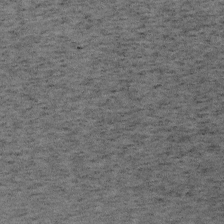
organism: Mouse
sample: OT-I killer T cells with ID8 ovarian cancer cells